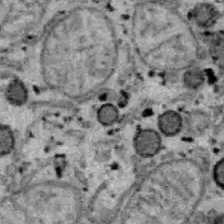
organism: Mouse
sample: Liver from an obese (ob/ob) mouse